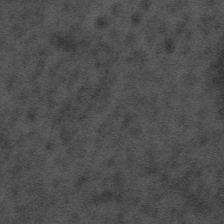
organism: Tuwongella immobilis